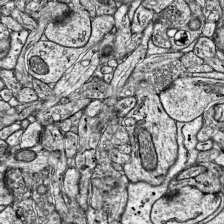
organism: Mouse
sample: Visual Cortex